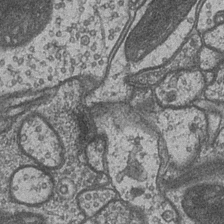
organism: Drosophila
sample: Optic medulla